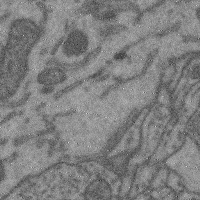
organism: Mouse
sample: Cerebral cortex